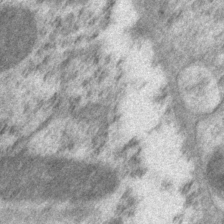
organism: P. pacificus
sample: Pharynx